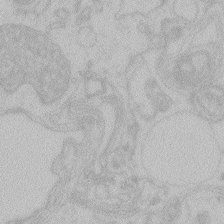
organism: Zebrafish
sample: Macrophage infected with Toxoplasma gondii